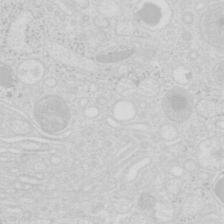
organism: Mouse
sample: Pancreas